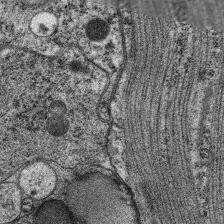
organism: C. elegans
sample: Pharynx